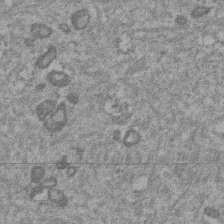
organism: Mouse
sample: Dividing mouse embryo 1 cell stage